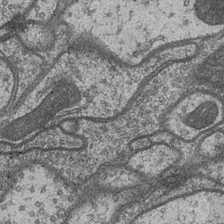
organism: Drosophila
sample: Optic medulla